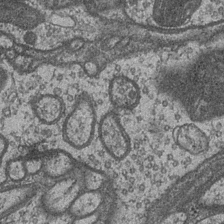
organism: Drosophila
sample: Optic medulla